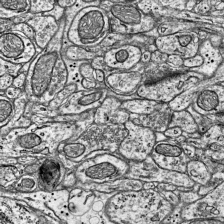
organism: Mouse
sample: Visual Cortex